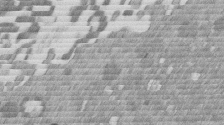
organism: Mouse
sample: Dividing mouse embryo 1 cell stage